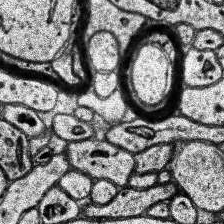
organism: Human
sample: Temporal Lobe